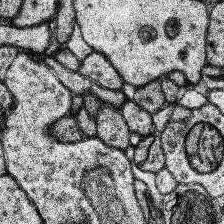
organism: Human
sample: Temporal Lobe